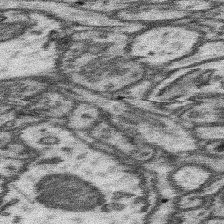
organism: Mouse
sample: Somatosensory cortex neuropil